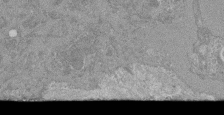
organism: Mouse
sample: Glomerulus